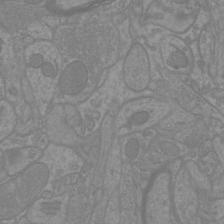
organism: Mouse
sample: Cortical neurons